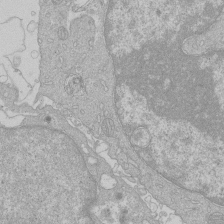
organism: Human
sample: Macrophage cells